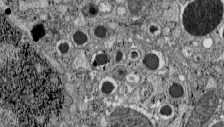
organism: C57BL Mouse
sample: Pancreatic islet